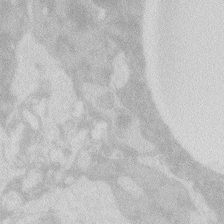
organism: Zebrafish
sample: Macrophage